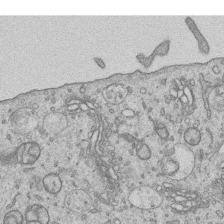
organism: Human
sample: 1205lu cells